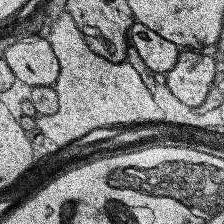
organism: Human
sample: Temporal Lobe